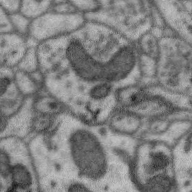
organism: Zebra finch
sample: Brain